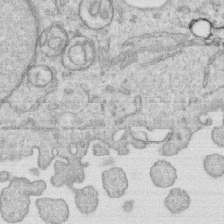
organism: Human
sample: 1205lu cells